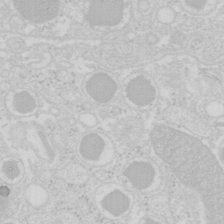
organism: Mouse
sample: Pancreas